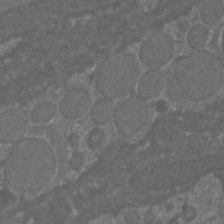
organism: C. elegans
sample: C. elegans embryo